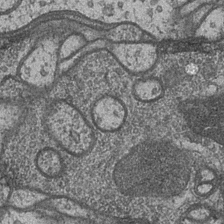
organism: Drosophila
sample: Optic medulla